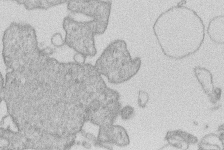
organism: Human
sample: Macrophage cells